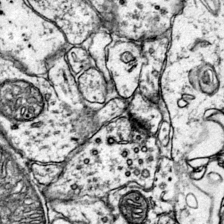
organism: Mouse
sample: Primary visual cortex